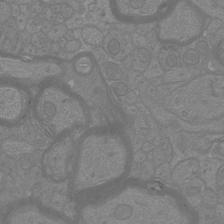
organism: Mouse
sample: Cortical neurons